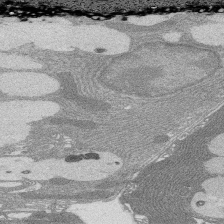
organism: Rat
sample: Salivary granule